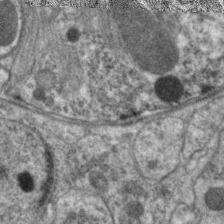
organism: C. elegans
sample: Pharynx